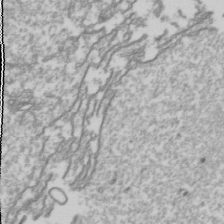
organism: Drosophila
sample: Cell division; meiosis; drosophila spermatocytes